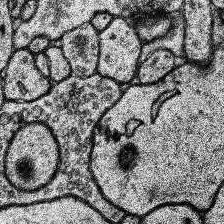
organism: Human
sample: Temporal Lobe